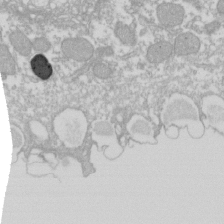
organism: Xenopus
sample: Cilia; centrioles in frog embryo cells